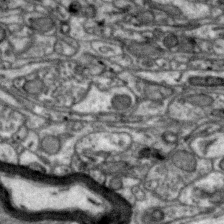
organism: Zebra finch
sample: Brain